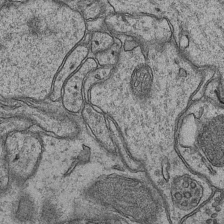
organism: Mouse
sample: CA1 Hippocampus